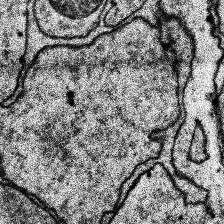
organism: Human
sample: Temporal Lobe